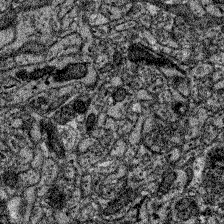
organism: Zebrafish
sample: Larval olfactory bulb